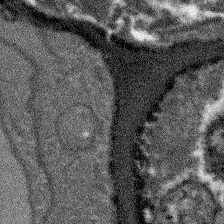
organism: Arabidopsis thaliana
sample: Root tip